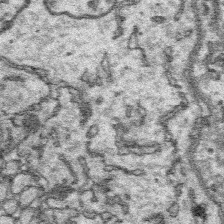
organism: Platynereis dumerilii